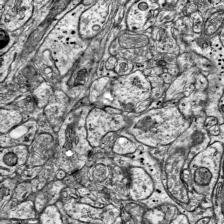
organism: Mouse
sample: Visual Cortex